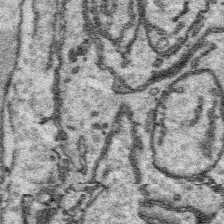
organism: Platynereis dumerilii